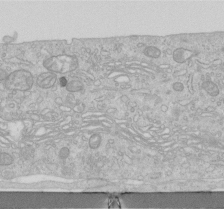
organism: Human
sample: Centriole in RPE cells